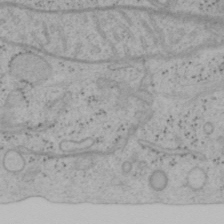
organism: Human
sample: HeLa cells